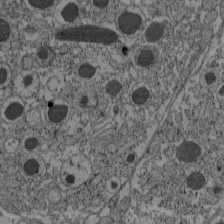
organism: C57BL Mouse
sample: Pancreatic islet